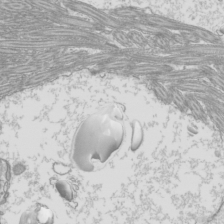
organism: Mouse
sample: Cilia; mouse epididymis